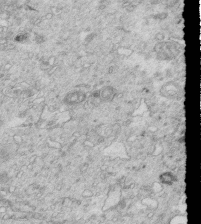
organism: Mouse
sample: Multiciliated cells